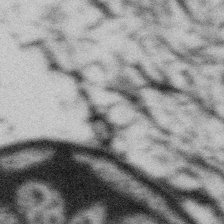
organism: Gemmata obscuriglobus